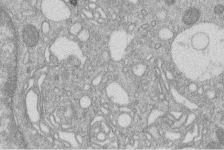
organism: Human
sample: Macrophage cells